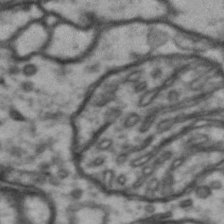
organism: Drosophila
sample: Brain